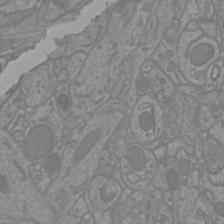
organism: Mouse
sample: Cortical neurons